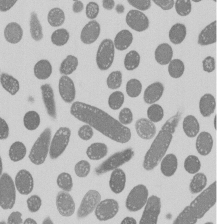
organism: E. coli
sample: Bacterial nucleoid